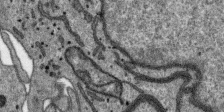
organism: Human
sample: Lung epithelial cells, uninfected (mock) control